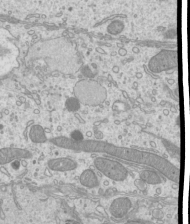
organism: Mouse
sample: Cilia; mouse epididymis